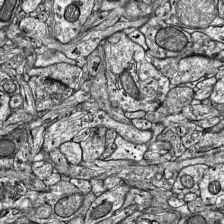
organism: Mouse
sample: Visual Cortex